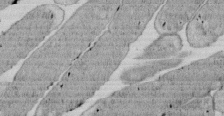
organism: E. coli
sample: Bacterial nucleoid